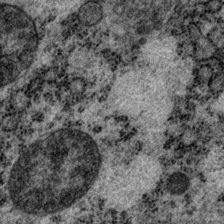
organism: P. pacificus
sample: Pharynx